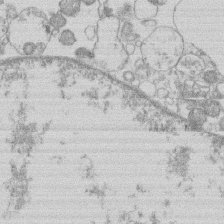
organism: Human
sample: Macrophage cells